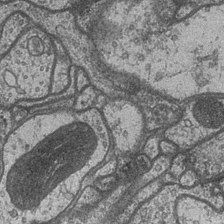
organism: Drosophila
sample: Optic medulla